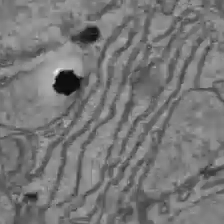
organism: C57BL Mouse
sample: Liver